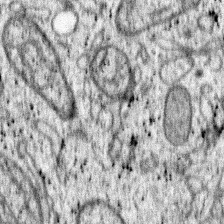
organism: Human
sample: HeLa cells